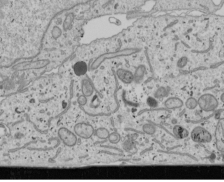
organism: Human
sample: Mitochondria in U2OS cells